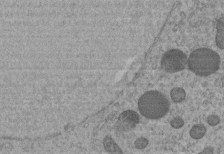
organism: C. elegans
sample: C. elegans embryo early stage